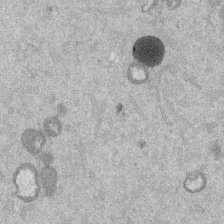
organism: Mouse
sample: Dividing mouse embryo 1 cell stage